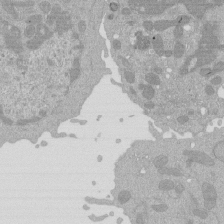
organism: Mouse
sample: Activated Pmel transgenic CD8+ T Cells